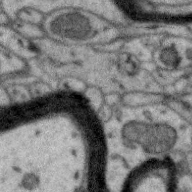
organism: Zebra finch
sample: Brain